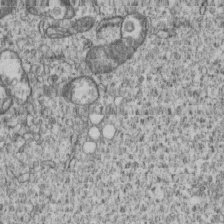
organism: Human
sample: MDA-MB-231 cells